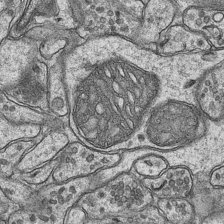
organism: Mouse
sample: CA1 Hippocampus